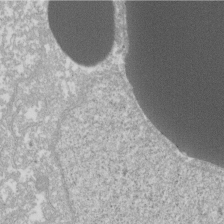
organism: Xenopus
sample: Cilia; centrioles in frog embryo cells